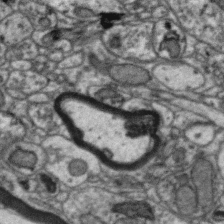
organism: Zebra finch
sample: Brain